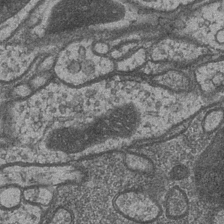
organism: Drosophila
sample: Optic medulla